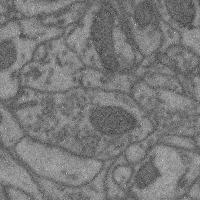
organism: Mouse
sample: Cerebral cortex